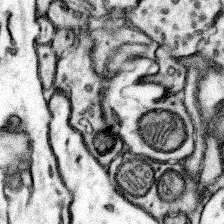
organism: Mouse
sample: Somatosensory cortex neuropil